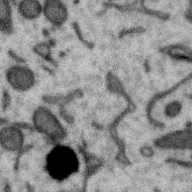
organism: Zebra finch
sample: Brain